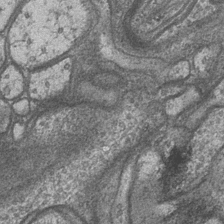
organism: Drosophila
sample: Optic medulla